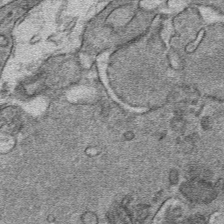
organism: Mouse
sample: Mouse hepatocytes